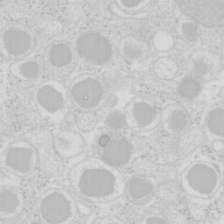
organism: Mouse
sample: Pancreas